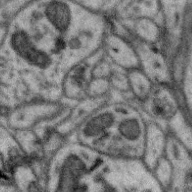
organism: Zebra finch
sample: Brain